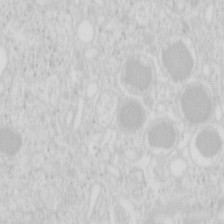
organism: Mouse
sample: Pancreas